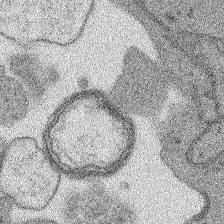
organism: Human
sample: HeLa cells